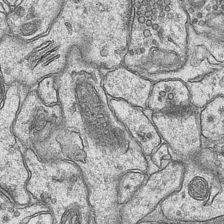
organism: Mouse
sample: CA1 Hippocampus